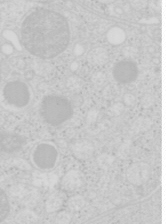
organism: Mouse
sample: Pancreas